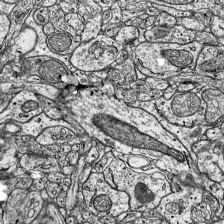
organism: Mouse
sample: Visual Cortex